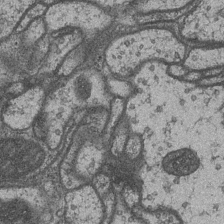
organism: Drosophila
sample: Optic medulla